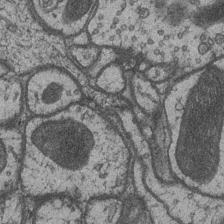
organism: Drosophila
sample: Optic medulla